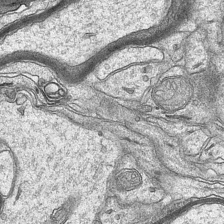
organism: Mouse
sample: CA1 Hippocampus